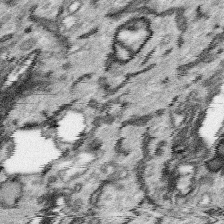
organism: Human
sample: HeLa cells